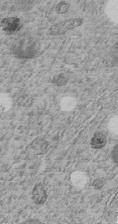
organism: C. elegans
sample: C. elegans embryo early stage